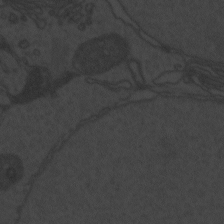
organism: Zebrafish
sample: Macrophage infected with Toxoplasma gondii